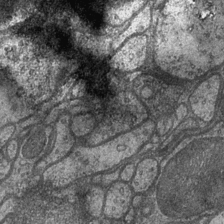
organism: Drosophila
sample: Optic medulla